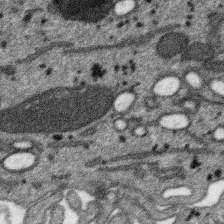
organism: Human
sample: Lung epithelial cells infected with SARS-CoV-2